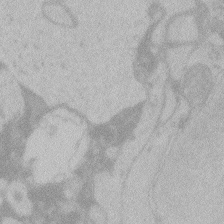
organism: Zebrafish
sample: Macrophage infected with Toxoplasma gondii